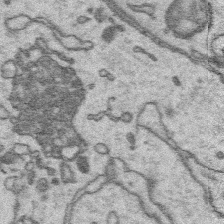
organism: Platynereis dumerilii